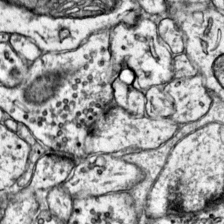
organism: Mouse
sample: Primary visual cortex